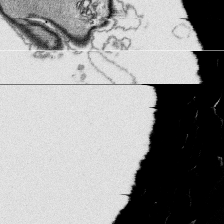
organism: Platynereis dumerilii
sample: Parapodia